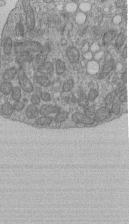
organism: Human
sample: Retinal organoid Rod and Cone cells